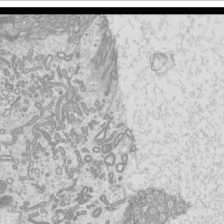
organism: Mouse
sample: Cilia; mouse epididymis